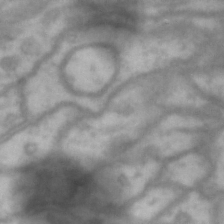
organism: Drosophila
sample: Brain